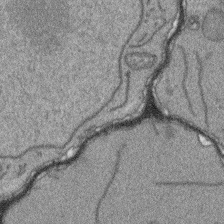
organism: Arabidopsis thaliana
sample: Root tip